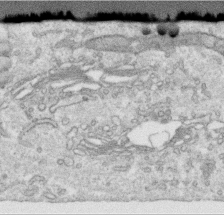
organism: Human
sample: Centriole in RPE cells